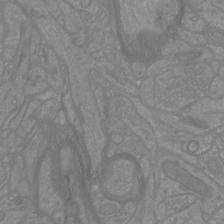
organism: Mouse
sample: Cortical neurons